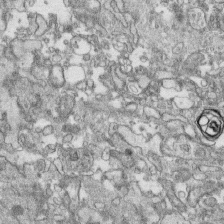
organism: Human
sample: CRL-1474